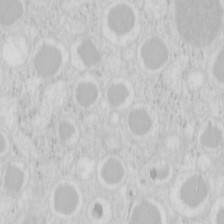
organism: Mouse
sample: Pancreas